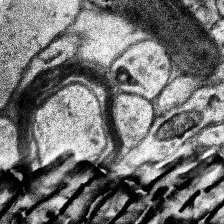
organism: Human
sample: Temporal Lobe